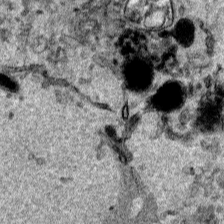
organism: Human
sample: Mitochondria in HCT116 cells